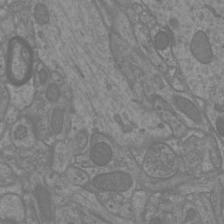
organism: Mouse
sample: Cortical neurons